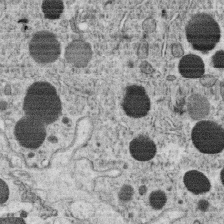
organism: C. elegans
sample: C. elegans oocyte; sperm cells